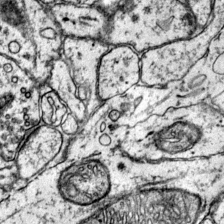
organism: Mouse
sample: Primary visual cortex